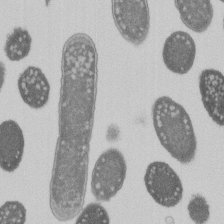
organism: E. coli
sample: Bacterial nucleoid